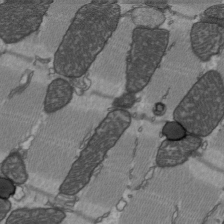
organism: C57BL Mouse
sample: Heart